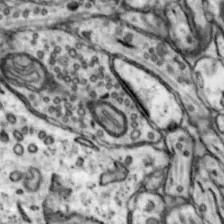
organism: Mouse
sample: Nucleus accumbens